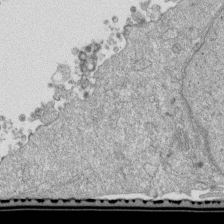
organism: Human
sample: HeLa cell HIV synapse